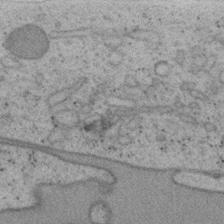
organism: Human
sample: HeLa cells